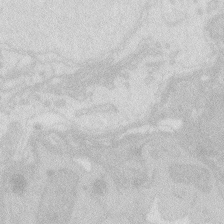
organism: Zebrafish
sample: Macrophage